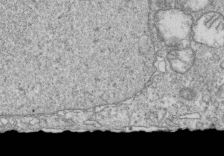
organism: Human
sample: HeLa cell HIV synapse